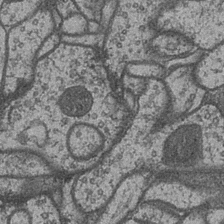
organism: Drosophila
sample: Optic medulla